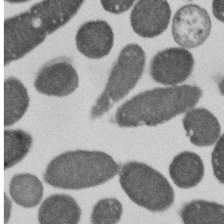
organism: E. coli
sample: Bacterial nucleoid